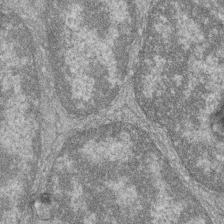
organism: Zebrafish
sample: Cilia; retinal pigment epithelium